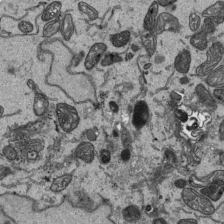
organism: Human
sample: Mitochondria in HCT116 cells